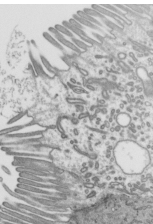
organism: Mouse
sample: Mouse epididymis efferent ductule cilia